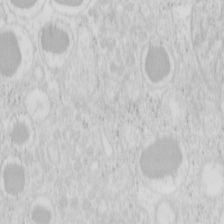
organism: Mouse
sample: Pancreas